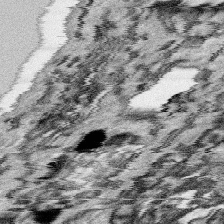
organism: Human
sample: HeLa cells